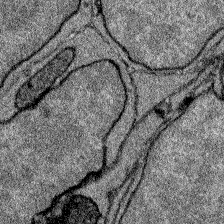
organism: Zebrafish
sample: Larval olfactory bulb